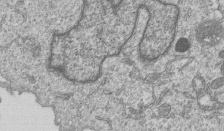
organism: Human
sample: MDA-MB-231 cells